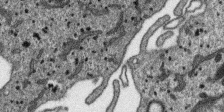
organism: Human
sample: Lung epithelial cells infected with SARS-CoV-2